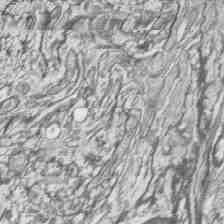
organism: Zebrafish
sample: synaptic ribbons in rod cells and cone cells